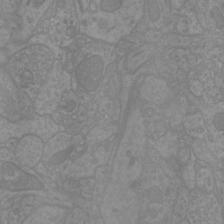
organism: Mouse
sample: Cortical neurons